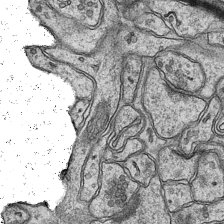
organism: Mouse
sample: CA1 Hippocampus